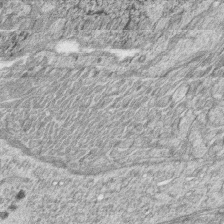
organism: Zebrafish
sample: synaptic ribbons in rod cells and cone cells